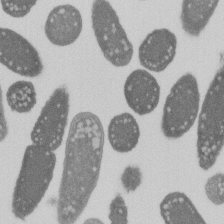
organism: E. coli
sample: Bacterial nucleoid